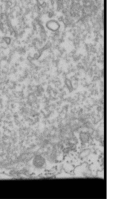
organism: Drosophila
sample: Cell division; meiosis; drosophila spermatocytes